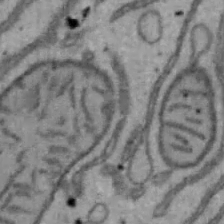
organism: Mouse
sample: Liver